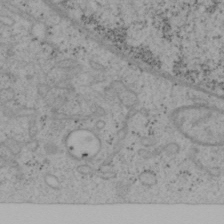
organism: Human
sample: HeLa cells